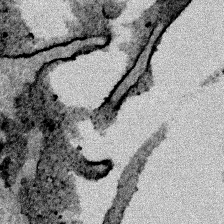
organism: Human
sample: Mitochondria in HCT116 cells